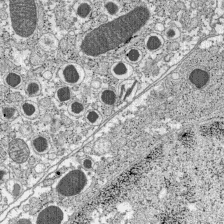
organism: C57BL Mouse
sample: Pancreatic islet